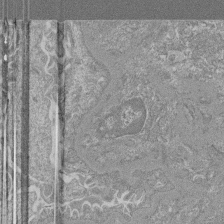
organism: Mouse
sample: Glomerulus